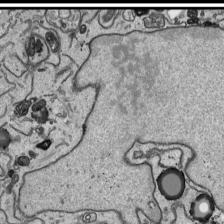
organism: Human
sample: Mitochondria in HCT116 cells